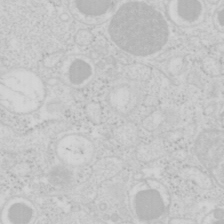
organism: Mouse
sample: Pancreas